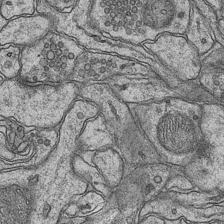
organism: Mouse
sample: CA1 Hippocampus